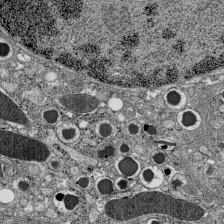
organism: C57BL Mouse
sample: Pancreatic islet